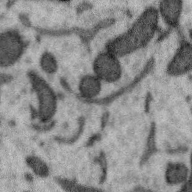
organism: Zebra finch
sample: Brain